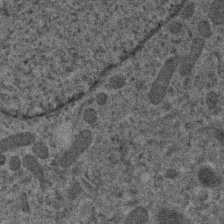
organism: Human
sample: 1205lu cells